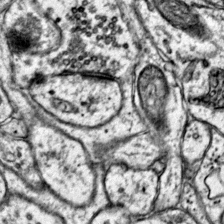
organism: Mouse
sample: Primary visual cortex